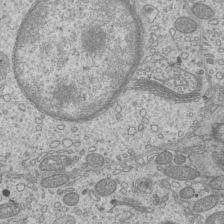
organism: Mouse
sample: Cilia; mouse epididymis